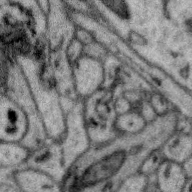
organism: Zebra finch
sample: Brain